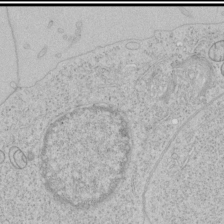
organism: Human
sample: Mitochondria in HCT116 cells